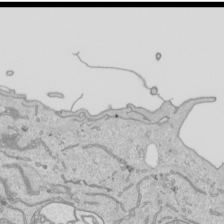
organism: Human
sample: Mitochondria in HCT116 cells